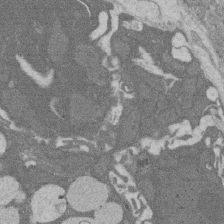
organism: Rat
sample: Salivary granule